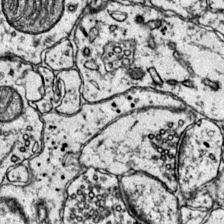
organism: Mouse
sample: Primary visual cortex